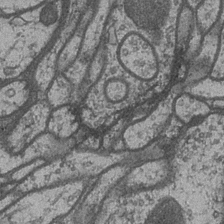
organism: Drosophila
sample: Optic medulla